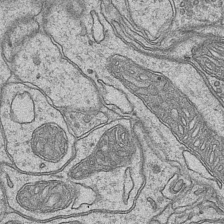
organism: Mouse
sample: CA1 Hippocampus